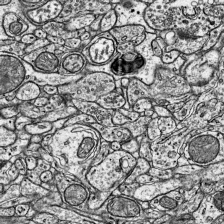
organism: Mouse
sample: Visual Cortex